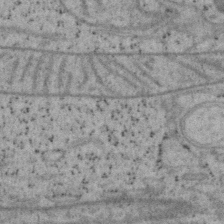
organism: Human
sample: HeLa cells